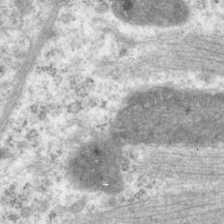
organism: P. pacificus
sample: Pharynx